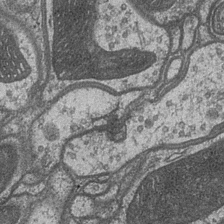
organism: Drosophila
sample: Optic medulla